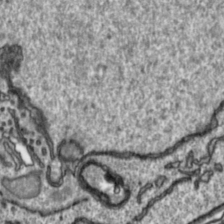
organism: Toxoplasma gondii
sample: Parasites in a vacuole inside a host cell